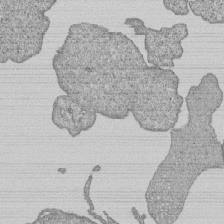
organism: Human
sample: MDA-MB-231 cells